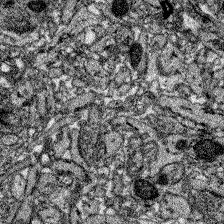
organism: Zebrafish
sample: Larval olfactory bulb